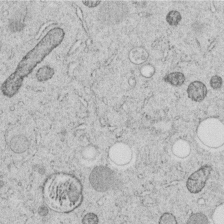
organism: C. elegans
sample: C. elegans embryo early stage